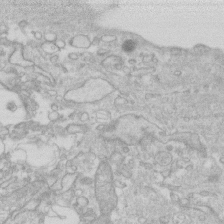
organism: Human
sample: Fibroblast cells